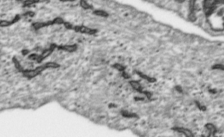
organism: Toxoplasma gondii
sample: Parasites in a vacuole inside a host cell